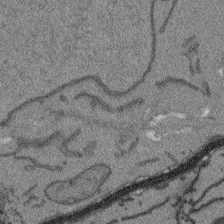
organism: Arabidopsis thaliana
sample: Root tip